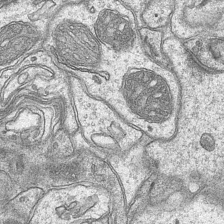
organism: Mouse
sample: CA1 Hippocampus